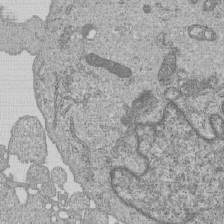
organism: Human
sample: MDA-MB-231 cells